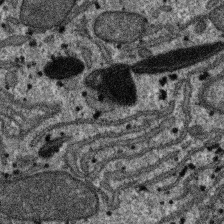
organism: Human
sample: Lung epithelial cells infected with SARS-CoV-2